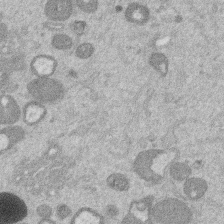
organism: Mouse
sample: Dividing mouse embryo 1 cell stage